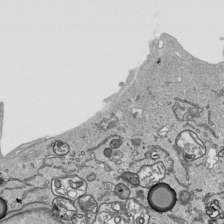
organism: Human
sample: Mitochondria in HCT116 cells